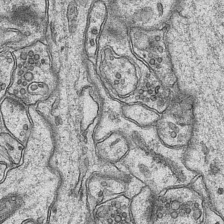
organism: Mouse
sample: CA1 Hippocampus